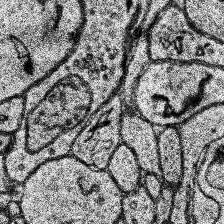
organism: Human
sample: Temporal Lobe